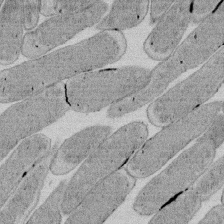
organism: E. coli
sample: Bacterial nucleoid